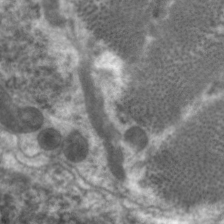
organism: C. elegans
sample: Pharynx